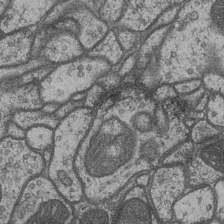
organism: Drosophila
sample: Optic medulla